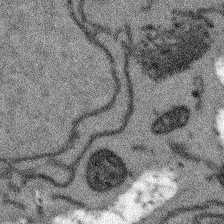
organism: Arabidopsis thaliana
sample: Root tip